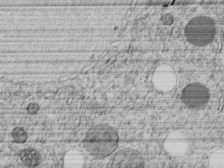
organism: C. elegans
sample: C. elegans embryo early stage